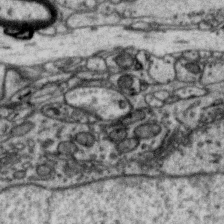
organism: Zebra finch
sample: Brain